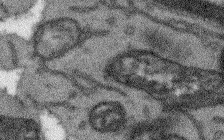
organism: Arabidopsis thaliana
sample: Root tip